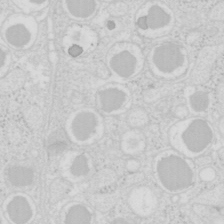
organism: Mouse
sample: Pancreas